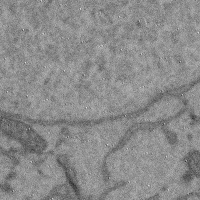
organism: Mouse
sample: Cerebral cortex